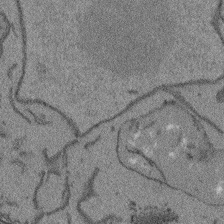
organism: Arabidopsis thaliana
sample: Root tip